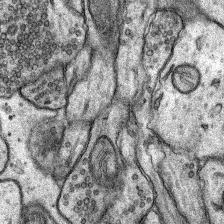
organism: Rat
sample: Hippocampus